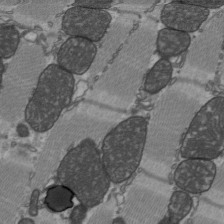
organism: C57BL Mouse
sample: Heart